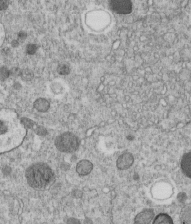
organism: C. elegans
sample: C. elegans embryo early stage